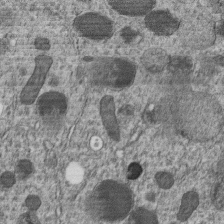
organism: C. elegans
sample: C. elegans embryo early stage